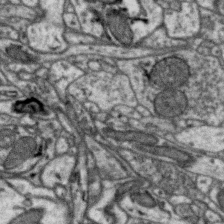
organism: Zebra finch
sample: Brain